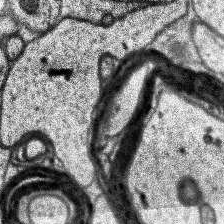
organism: Human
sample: Temporal Lobe